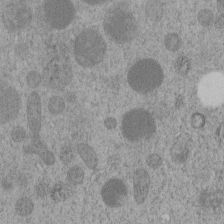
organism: C. elegans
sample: C. elegans embryo early stage